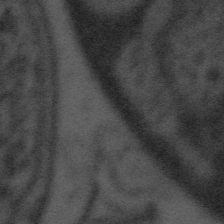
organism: Tuwongella immobilis